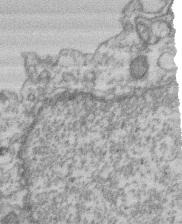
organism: Mouse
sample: T cell stromal cell synapse